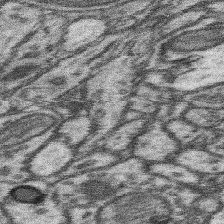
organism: Mouse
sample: Somatosensory cortex neuropil